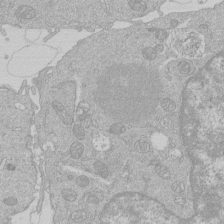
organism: Human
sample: Macrophage cells